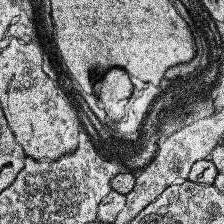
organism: Human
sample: Temporal Lobe